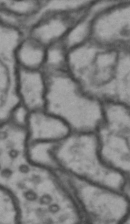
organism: Drosophila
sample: Brain